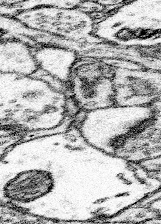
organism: Mouse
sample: Somatosensory cortex neuropil